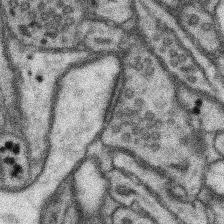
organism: Mouse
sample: Somatosensory cortex neuropil